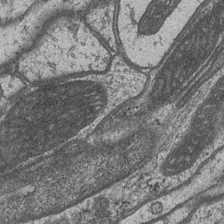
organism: Drosophila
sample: Optic medulla